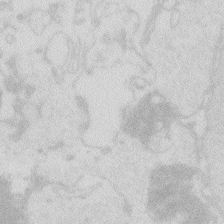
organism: Zebrafish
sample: Macrophage